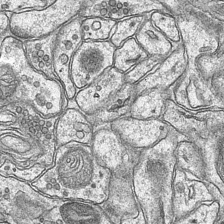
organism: Mouse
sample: CA1 Hippocampus